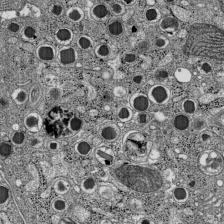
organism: C57BL Mouse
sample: Pancreatic islet